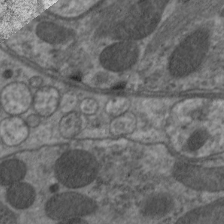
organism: C. elegans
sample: Pharynx